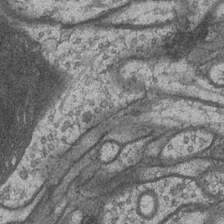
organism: Drosophila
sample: Optic medulla